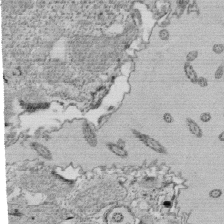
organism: Tetrahymena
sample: Cilia in tetrahymena